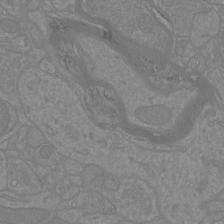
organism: Mouse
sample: Cortical neurons